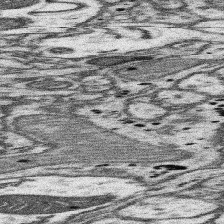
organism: Mouse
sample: Somatosensory cortex neuropil